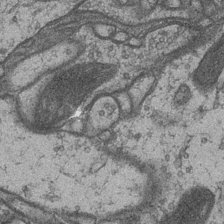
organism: Drosophila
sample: Optic medulla